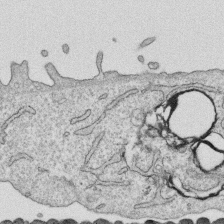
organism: Human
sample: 1205lu cells